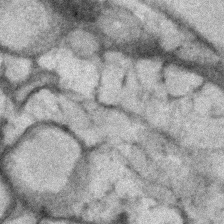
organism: Human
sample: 1205lu cells